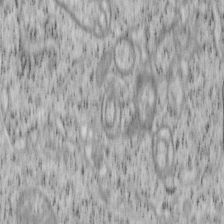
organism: Human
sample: HeLa cells